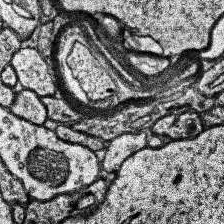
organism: Human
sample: Temporal Lobe